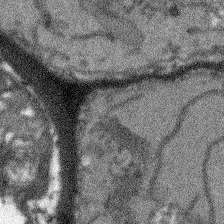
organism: Arabidopsis thaliana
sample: Root tip